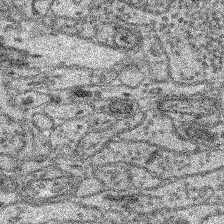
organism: Mouse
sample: Retina